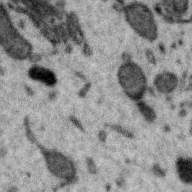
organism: Zebra finch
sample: Brain